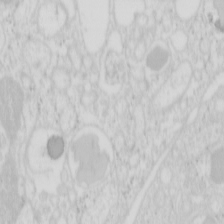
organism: Mouse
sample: Pancreas